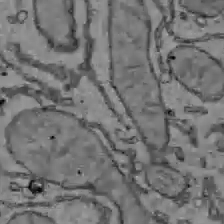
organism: C57BL Mouse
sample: Liver